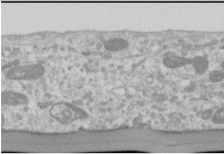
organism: Human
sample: Cilia; basal body in RPE cells